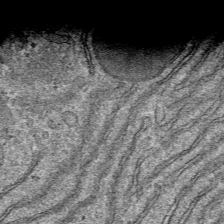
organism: Mouse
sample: Mouse hepatocytes